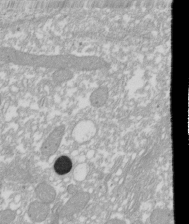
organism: Xenopus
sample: Cilia; centrioles in frog embryo cells